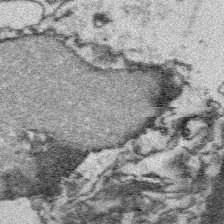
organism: Platynereis dumerilii